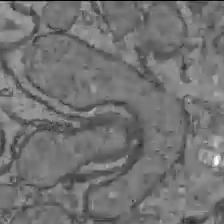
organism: C57BL Mouse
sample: Liver